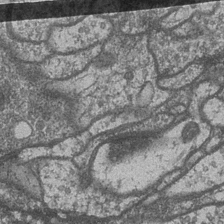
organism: Drosophila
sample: Optic medulla